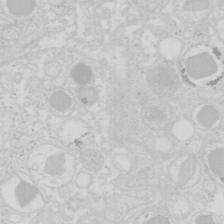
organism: Mouse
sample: Pancreas